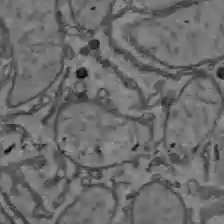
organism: C57BL Mouse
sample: Liver